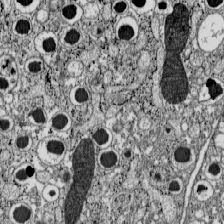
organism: C57BL Mouse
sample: Pancreatic islet